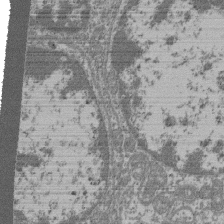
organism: Mouse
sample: Glomerulus